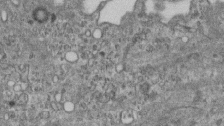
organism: Mouse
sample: Centriole in ependymal cells